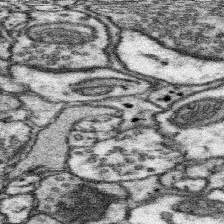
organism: Mouse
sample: Somatosensory cortex neuropil